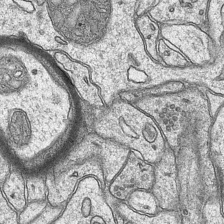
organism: Mouse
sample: CA1 Hippocampus